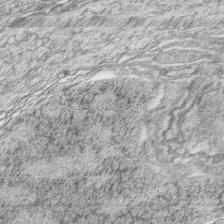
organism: Zebrafish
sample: synaptic ribbons in rod cells and cone cells